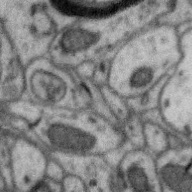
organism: Zebra finch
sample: Brain